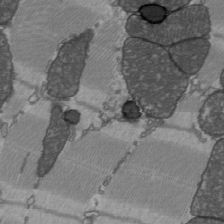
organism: C57BL Mouse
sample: Heart